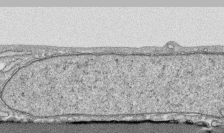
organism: Human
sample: CRL-1474